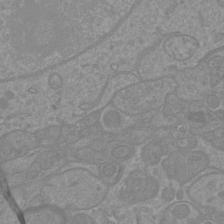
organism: Mouse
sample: Cortical neurons